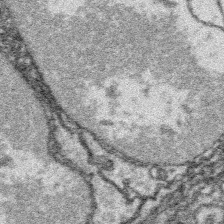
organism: Platynereis dumerilii